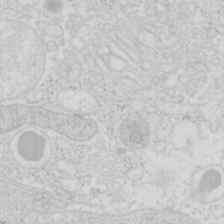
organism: Mouse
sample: Pancreas